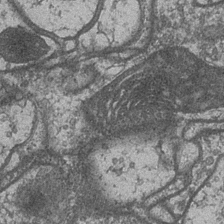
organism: Drosophila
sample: Optic medulla